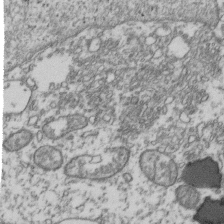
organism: Human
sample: Activated Jurkat CD4+ T cells